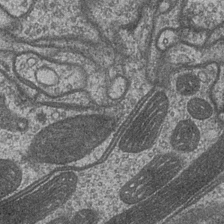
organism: Drosophila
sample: Optic medulla